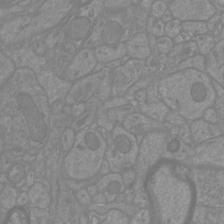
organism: Mouse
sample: Cortical neurons